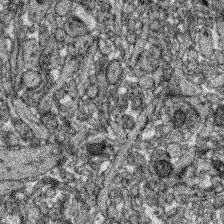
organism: Zebrafish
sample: Larval olfactory bulb